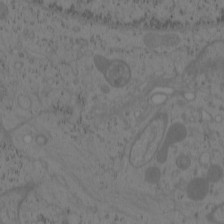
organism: Human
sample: HeLa cells